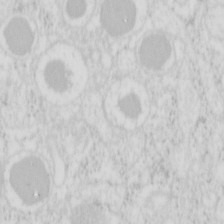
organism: Mouse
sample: Pancreas